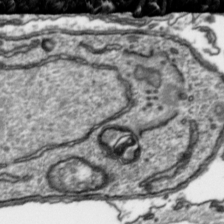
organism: Toxoplasma gondii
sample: Parasites in a vacuole inside a host cell